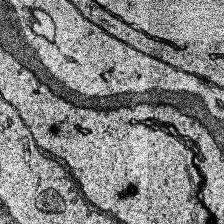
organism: Human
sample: Temporal Lobe